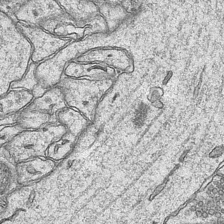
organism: Mouse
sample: CA1 Hippocampus